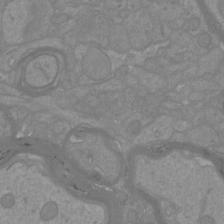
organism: Mouse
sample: Cortical neurons